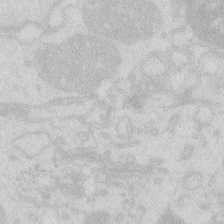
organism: Zebrafish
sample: Macrophage